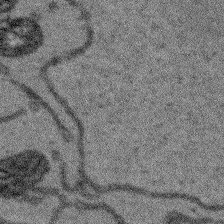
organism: Arabidopsis thaliana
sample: Root tip